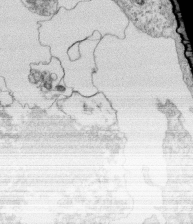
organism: Human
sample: HeLa cell HIV synapse